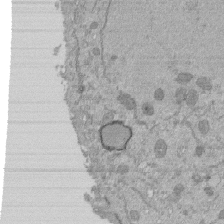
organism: Mouse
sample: ED-1 cell nuclei; centrioles